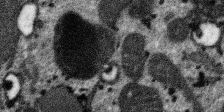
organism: Human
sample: Lung epithelial cells infected with SARS-CoV-2